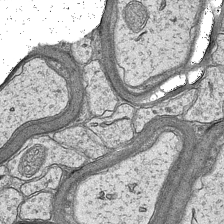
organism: Mouse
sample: CA1 Hippocampus